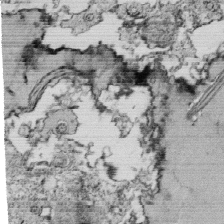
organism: Tetrahymena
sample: Cilia in tetrahymena